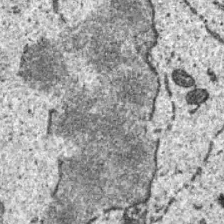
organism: Human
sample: HeLa cells